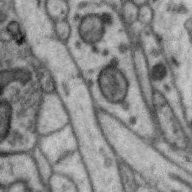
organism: Zebra finch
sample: Brain